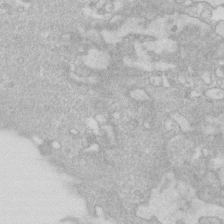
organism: Human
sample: Fibroblast cells